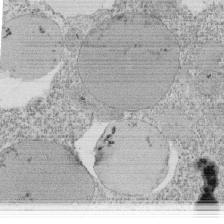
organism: Tetrahymena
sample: Cilia in tetrahymena